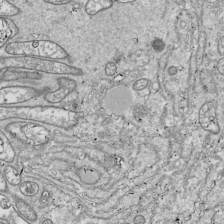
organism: Drosophila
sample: Cell division; meiosis; drosophila spermatocytes